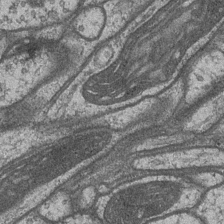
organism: Drosophila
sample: Optic medulla